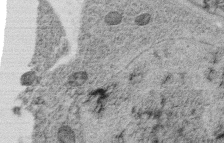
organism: C. elegans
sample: C. elegans oocyte; sperm cells